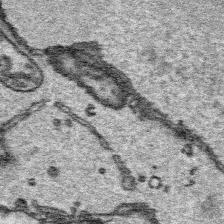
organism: Platynereis dumerilii